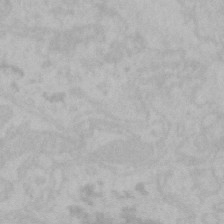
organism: Mouse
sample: Choroid plexus